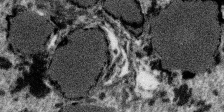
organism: Human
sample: Lung epithelial cells infected with SARS-CoV-2